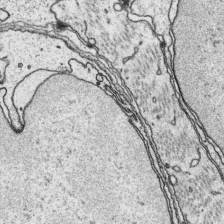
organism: Platynereis dumerilii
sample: Parapodia